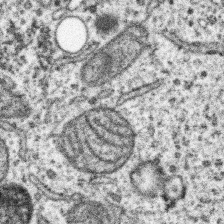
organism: Human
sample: HeLa cells